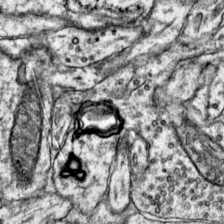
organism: Mouse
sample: Primary visual cortex